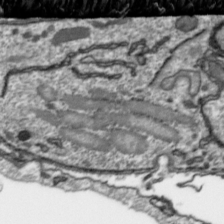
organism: Toxoplasma gondii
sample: Parasites in a vacuole inside a host cell